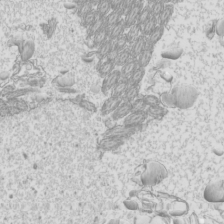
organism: Mouse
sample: Cilia; mouse epididymis